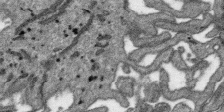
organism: Human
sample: Lung epithelial cells, uninfected (mock) control